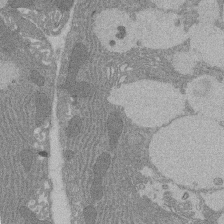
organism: Rat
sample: Salivary granule